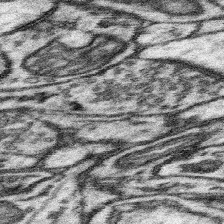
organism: Mouse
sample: Somatosensory cortex neuropil